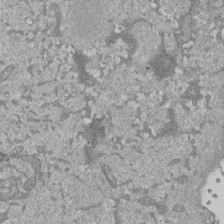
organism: Mouse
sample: ED-1 cell nuclei; centrioles